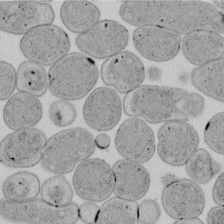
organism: E. coli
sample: Bacterial nucleoid